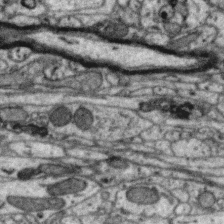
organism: Zebra finch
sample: Brain